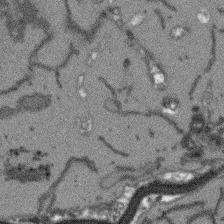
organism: Arabidopsis thaliana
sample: Root tip